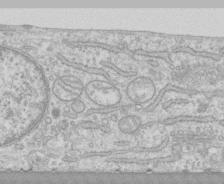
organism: Human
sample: CRL-1474